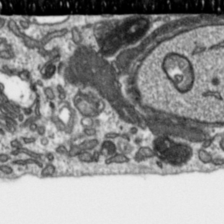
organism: Toxoplasma gondii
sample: Parasites in a vacuole inside a host cell